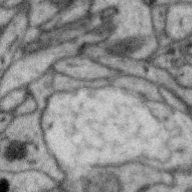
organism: Zebra finch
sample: Brain